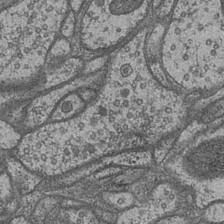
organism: Drosophila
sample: Optic medulla